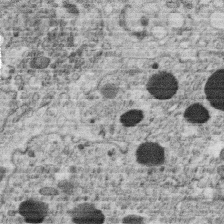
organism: C. elegans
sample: C. elegans oocyte; sperm cells